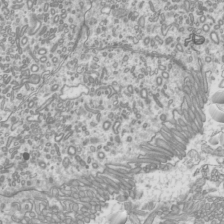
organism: Mouse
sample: Cilia; mouse epididymis